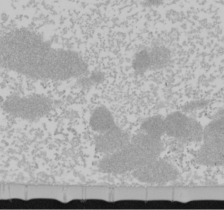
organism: Mouse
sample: Cancer cell death in ED-1 cells